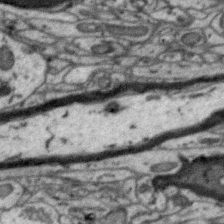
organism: Zebra finch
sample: Brain